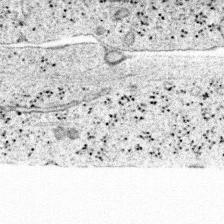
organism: Human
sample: HeLa cells